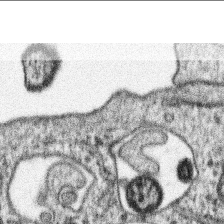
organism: Human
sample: HeLa cells